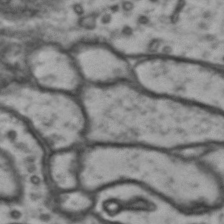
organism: Drosophila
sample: Brain